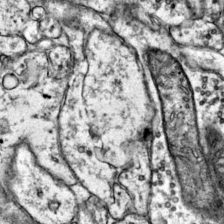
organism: Mouse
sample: Primary visual cortex